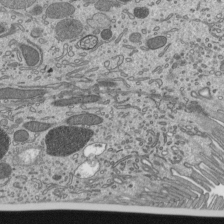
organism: Mouse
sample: Mouse epididymis efferent ductule cilia